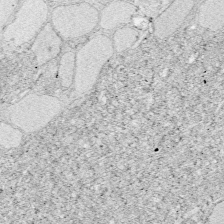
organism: Zebrafish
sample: Whole-Brain